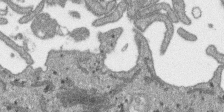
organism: Human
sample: Lung epithelial cells infected with SARS-CoV-2